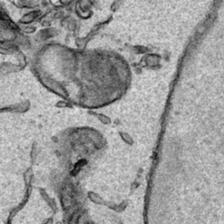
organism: Human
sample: Mitochondria in HCT116 cells